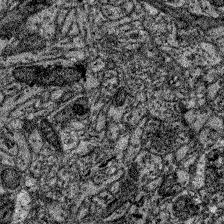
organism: Zebrafish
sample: Larval olfactory bulb